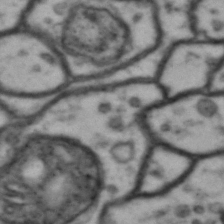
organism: Drosophila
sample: Brain